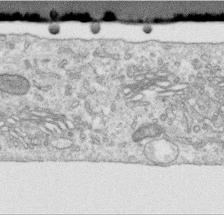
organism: Human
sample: Centriole in RPE cells